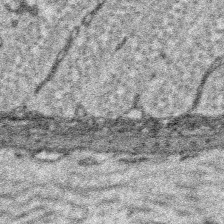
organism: Platynereis dumerilii